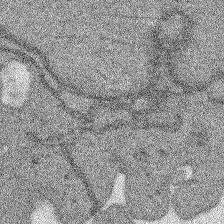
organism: Human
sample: HeLa cells